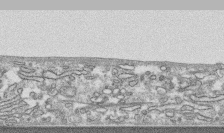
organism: Human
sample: CRL-1474